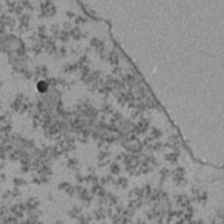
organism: Zebrafish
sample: Zebrafish embryo